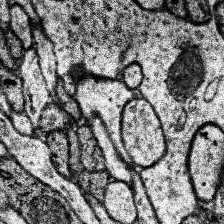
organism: Human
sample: Temporal Lobe